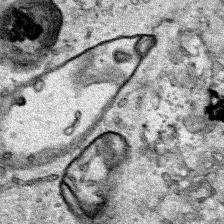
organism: Human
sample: Mitochondria in HCT116 cells